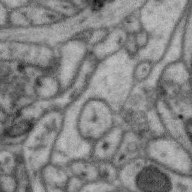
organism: Zebra finch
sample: Brain